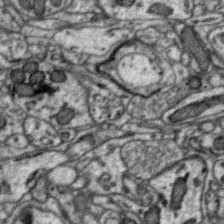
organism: Zebra finch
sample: Brain